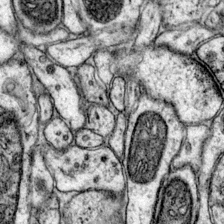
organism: Mouse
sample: Primary visual cortex